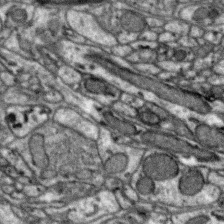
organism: Zebra finch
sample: Brain